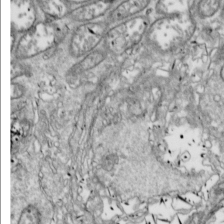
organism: Drosophila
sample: Cell division; meiosis; drosophila spermatocytes